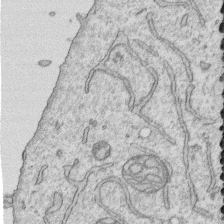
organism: Human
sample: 1205lu cells